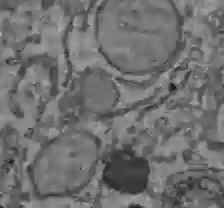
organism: C57BL Mouse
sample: Liver